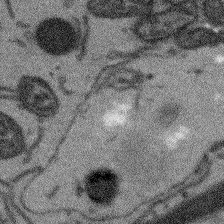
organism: Arabidopsis thaliana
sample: Root tip